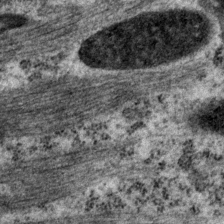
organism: P. pacificus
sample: Pharynx